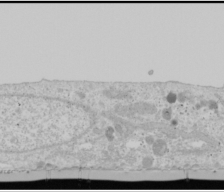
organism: Human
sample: Mitochondria in U2OS cells